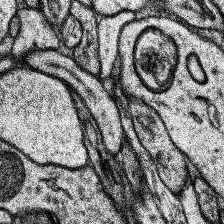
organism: Human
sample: Temporal Lobe